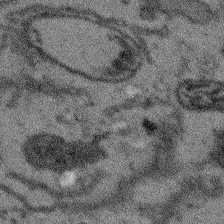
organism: Arabidopsis thaliana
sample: Root tip